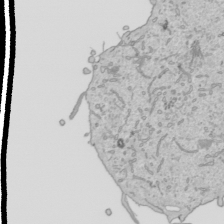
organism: Human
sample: Mitochondria in HCT116 cells